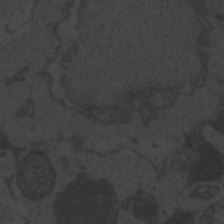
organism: Zebrafish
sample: Macrophage infected with Toxoplasma gondii